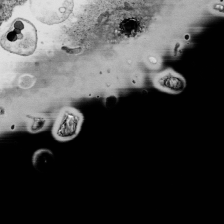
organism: Human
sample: Mitochondria in HCT116 cells